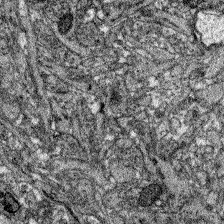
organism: Zebrafish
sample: Larval olfactory bulb